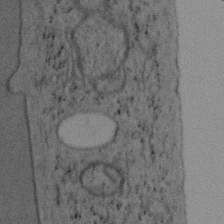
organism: Human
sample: HeLa cells